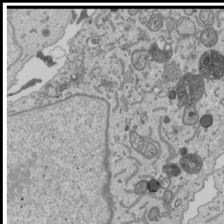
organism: Human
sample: Mitochondria in U2OS cells